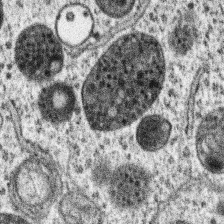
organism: Human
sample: HeLa cells